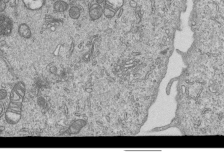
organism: Human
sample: MDA-MB-231 cells